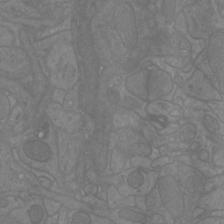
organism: Mouse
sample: Cortical neurons